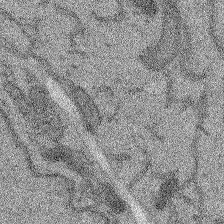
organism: Human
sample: HeLa cells